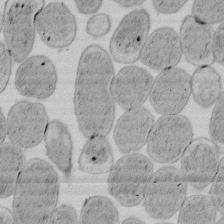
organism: E. coli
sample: Bacterial nucleoid